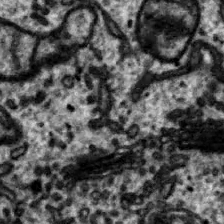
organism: Human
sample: HeLa cells